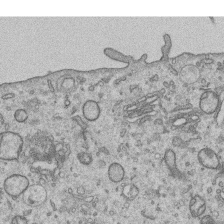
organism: Human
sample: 1205lu cells